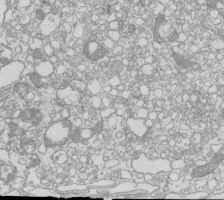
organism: Mouse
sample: Macrophages